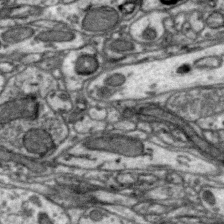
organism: Zebra finch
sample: Brain